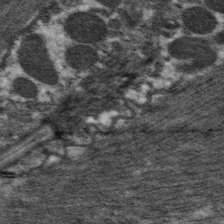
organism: C. elegans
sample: Pharynx